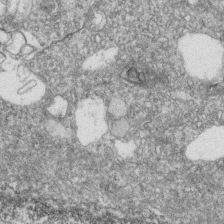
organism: Zebrafish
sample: Cilia; retinal pigment epithelium